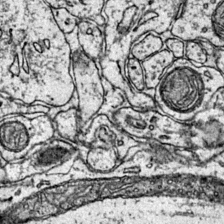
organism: Mouse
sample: Primary visual cortex